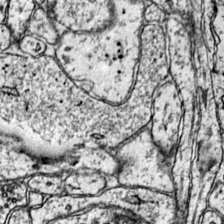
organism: Mouse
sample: Primary visual cortex